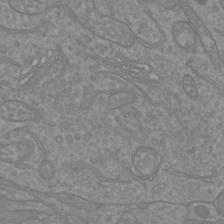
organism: Mouse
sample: Cortical neurons